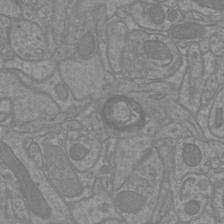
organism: Mouse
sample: Cortical neurons